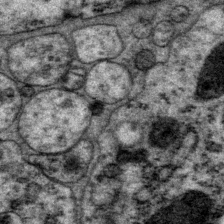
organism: P. pacificus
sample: Pharynx